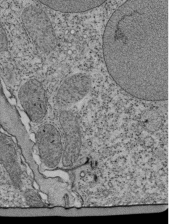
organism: Tetrahymena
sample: Cilia in tetrahymena